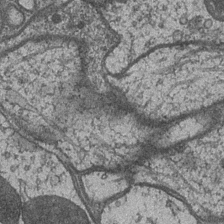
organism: Drosophila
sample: Optic medulla